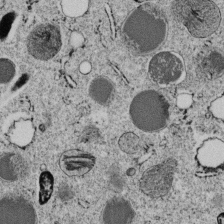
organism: C. elegans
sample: C. elegans embryo early stage